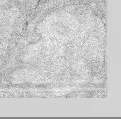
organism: Mouse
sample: Corneal nerves